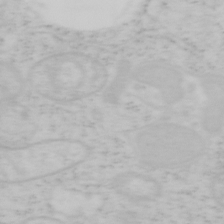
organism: Mouse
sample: OT-I killer T cells with ID8 ovarian cancer cells